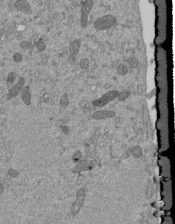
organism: Mouse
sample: ED-1 cell nuclei; centrioles